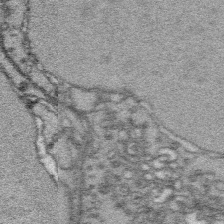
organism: Platynereis dumerilii